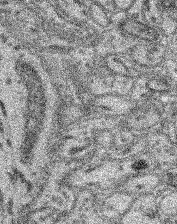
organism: Mouse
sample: Retina